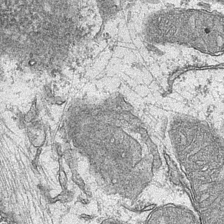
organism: Mouse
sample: CA1 Hippocampus